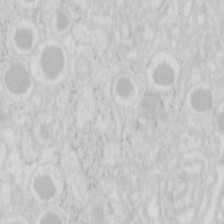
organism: Mouse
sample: Pancreas